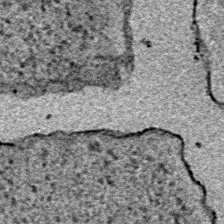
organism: E. coli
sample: E. Coli Bacteria